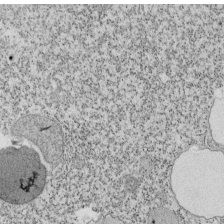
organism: Tetrahymena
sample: Cilia in tetrahymena